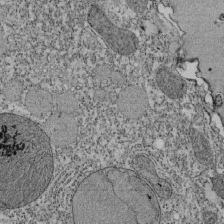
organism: Tetrahymena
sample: Cilia in tetrahymena